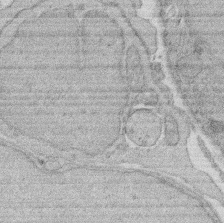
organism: Rat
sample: Salivary granule